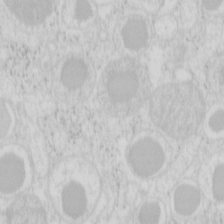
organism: Mouse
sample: Pancreas